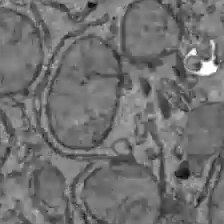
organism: C57BL Mouse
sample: Liver